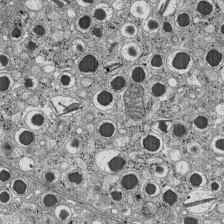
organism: C57BL Mouse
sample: Pancreatic islet